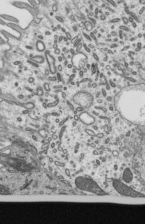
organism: Mouse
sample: Mouse epididymis efferent ductule cilia